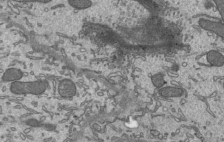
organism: Mouse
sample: Mouse epididymis efferent ductule cilia